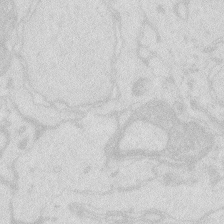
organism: Zebrafish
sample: Macrophage